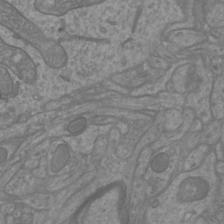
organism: Mouse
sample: Cortical neurons